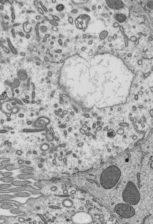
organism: Mouse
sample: Mouse epididymis efferent ductule cilia